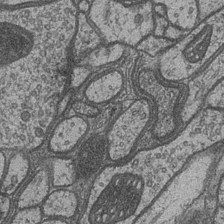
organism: Drosophila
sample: Optic medulla